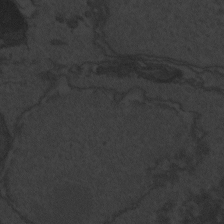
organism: Zebrafish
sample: Macrophage infected with Toxoplasma gondii